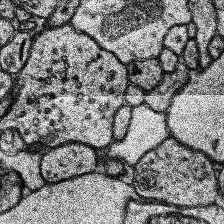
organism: Human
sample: Temporal Lobe